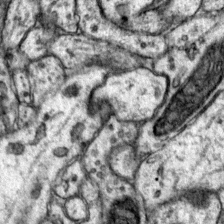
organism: Mouse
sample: Primary visual cortex